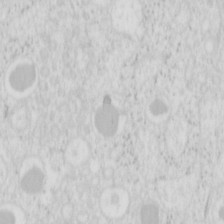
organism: Mouse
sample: Pancreas